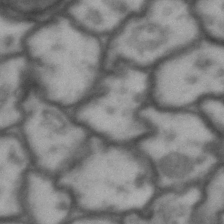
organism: Drosophila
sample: Brain